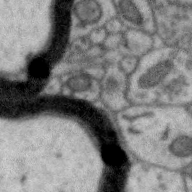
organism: Zebra finch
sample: Brain